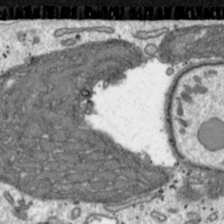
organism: Toxoplasma gondii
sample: Parasites in a vacuole inside a host cell